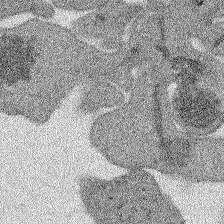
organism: Human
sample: HeLa cells